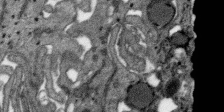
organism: Human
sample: Lung epithelial cells, uninfected (mock) control